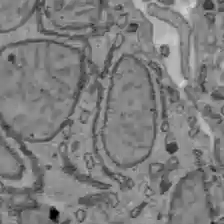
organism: C57BL Mouse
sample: Liver